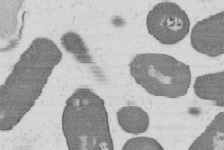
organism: B. subtilis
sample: Bacterial spore